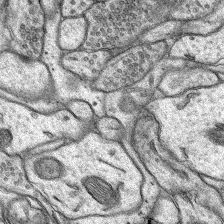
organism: Rat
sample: Hippocampus